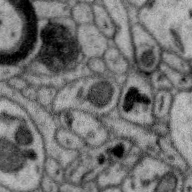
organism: Zebra finch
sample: Brain